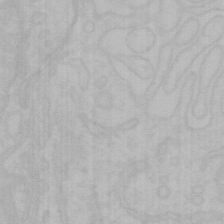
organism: Mouse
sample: Choroid plexus